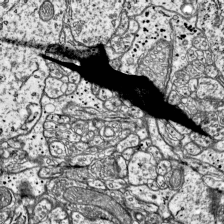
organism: Mouse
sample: Visual Cortex